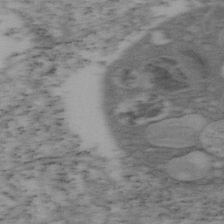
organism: Mouse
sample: OT-I killer T cells with ID8 ovarian cancer cells